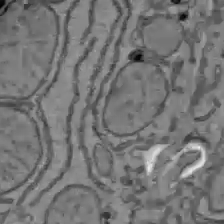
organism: C57BL Mouse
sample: Liver